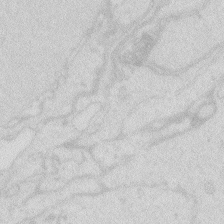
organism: Zebrafish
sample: Macrophage